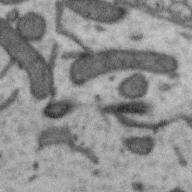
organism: Zebra finch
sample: Brain